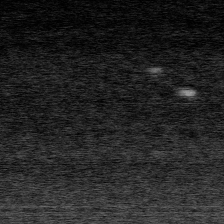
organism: Human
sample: HeLa cells